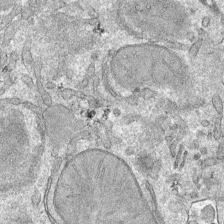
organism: Mouse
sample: Mouse hepatocytes